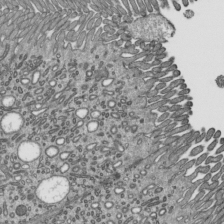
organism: Mouse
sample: Mouse epididymis efferent ductule cilia